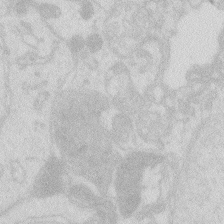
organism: Zebrafish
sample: Macrophage